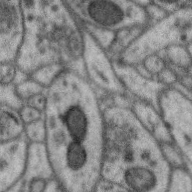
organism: Zebra finch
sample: Brain